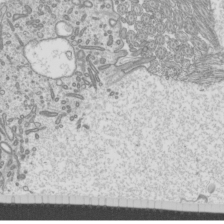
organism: Mouse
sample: Cilia; mouse epididymis